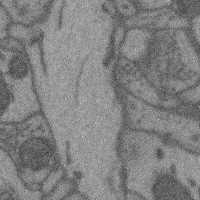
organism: Mouse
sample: Cerebral cortex